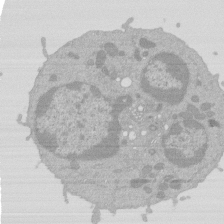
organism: Mouse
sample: Activated Pmel transgenic CD8+ T Cells